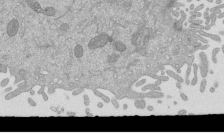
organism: Mouse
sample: ED-1 cell nuclei; centrioles